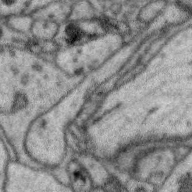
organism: Zebra finch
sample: Brain